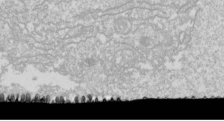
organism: Drosophila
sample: Cell division; meiosis; drosophila spermatocytes